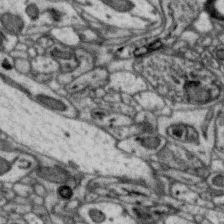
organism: Zebra finch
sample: Brain